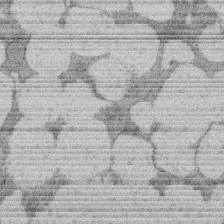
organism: Rat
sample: Salivary granule